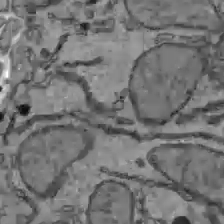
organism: C57BL Mouse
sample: Liver